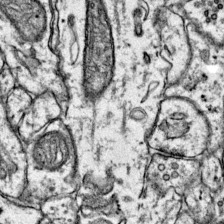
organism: Mouse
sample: Primary visual cortex